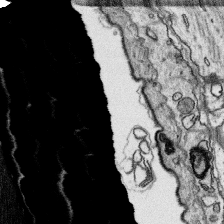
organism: Platynereis dumerilii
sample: Parapodia